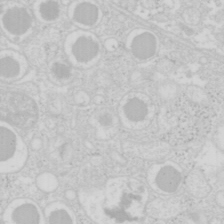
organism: Mouse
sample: Pancreas